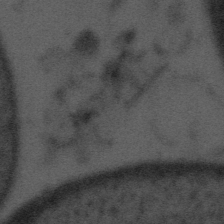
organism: Tuwongella immobilis